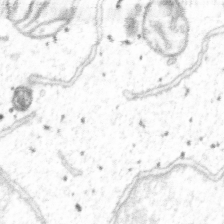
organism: Human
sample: HeLa cells